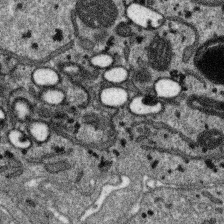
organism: Human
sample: Lung epithelial cells infected with SARS-CoV-2